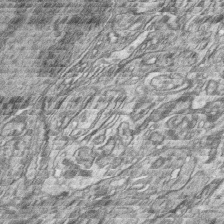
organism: Zebrafish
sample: synaptic ribbons in rod cells and cone cells